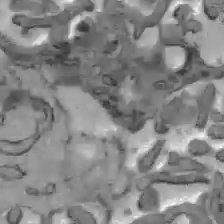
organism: C57BL Mouse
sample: Liver